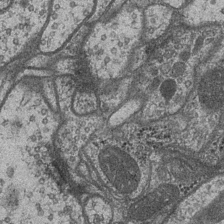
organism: Drosophila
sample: Optic medulla